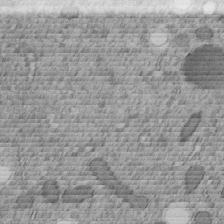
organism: C. elegans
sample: C. elegans embryo early stage